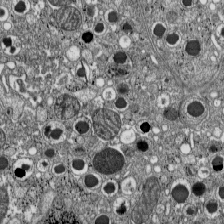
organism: C57BL Mouse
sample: Pancreatic islet